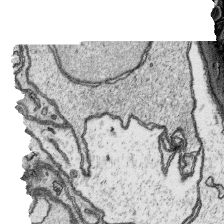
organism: Platynereis dumerilii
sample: Parapodia